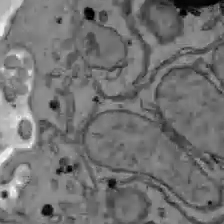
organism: C57BL Mouse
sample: Liver